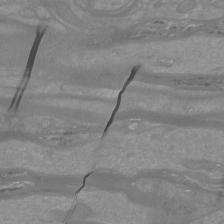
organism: Mouse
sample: Cortical neurons